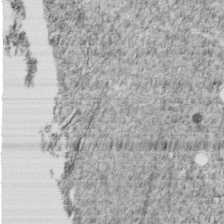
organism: C. elegans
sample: C. elegans embryo early stage